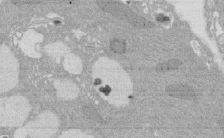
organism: Rat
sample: Salivary granule